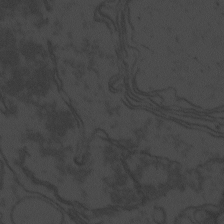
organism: Zebrafish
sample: Macrophage infected with Toxoplasma gondii